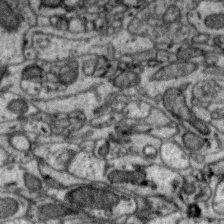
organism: Zebra finch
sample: Brain